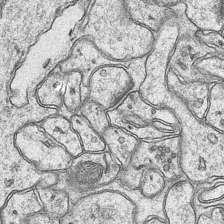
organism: Mouse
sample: CA1 Hippocampus